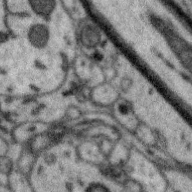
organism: Zebra finch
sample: Brain